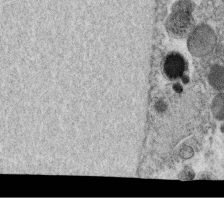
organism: C. elegans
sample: C. elegans oocyte; sperm cells